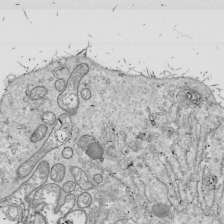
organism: Drosophila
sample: Cell division; meiosis; drosophila spermatocytes